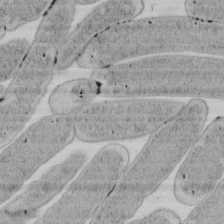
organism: E. coli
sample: Bacterial nucleoid